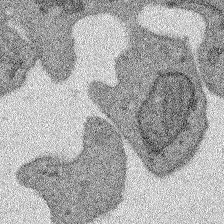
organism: Human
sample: HeLa cells